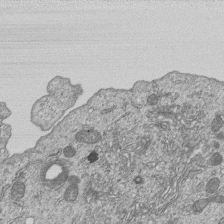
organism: Human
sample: MDA-MB-231 cells